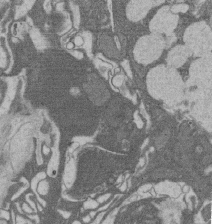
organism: Rat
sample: Salivary granule